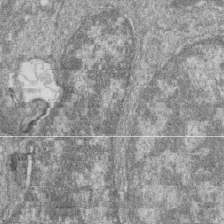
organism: Zebrafish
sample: Cilia; retinal pigment epithelium